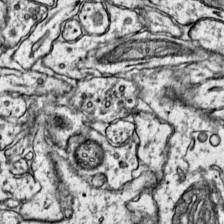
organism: Mouse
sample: Primary visual cortex